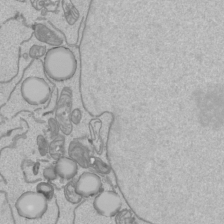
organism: Human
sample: Mitochondria in HCT116 cells